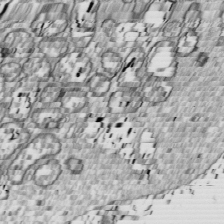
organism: Drosophila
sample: Cell division; meiosis; drosophila spermatocytes